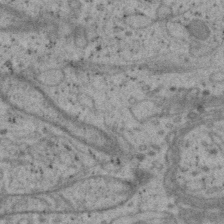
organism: Human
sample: HeLa cells